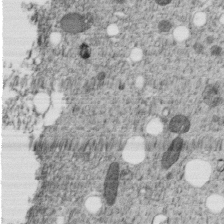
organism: C. elegans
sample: C. elegans embryo early stage